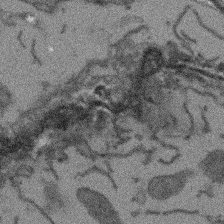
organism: Arabidopsis thaliana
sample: Root tip